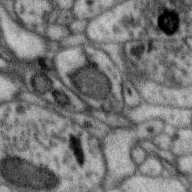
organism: Zebra finch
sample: Brain